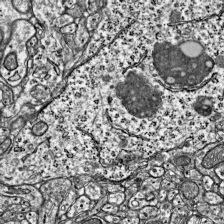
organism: Mouse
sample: Visual Cortex